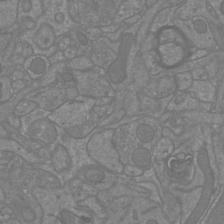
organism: Mouse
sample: Cortical neurons